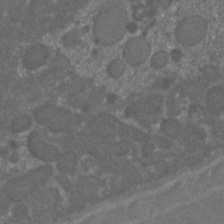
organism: C. elegans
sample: C. elegans embryo